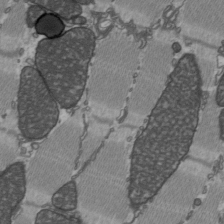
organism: C57BL Mouse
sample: Heart